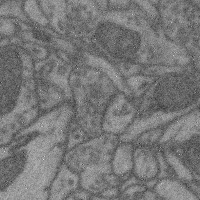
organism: Mouse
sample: Cerebral cortex